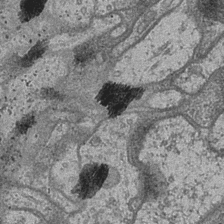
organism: Drosophila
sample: Optic medulla